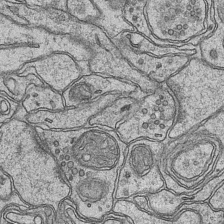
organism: Mouse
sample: CA1 Hippocampus